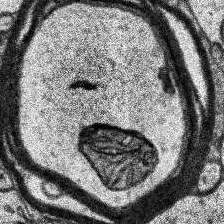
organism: Human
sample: Temporal Lobe